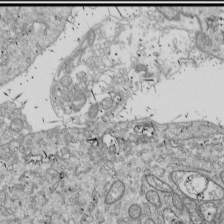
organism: Drosophila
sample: Cell division; meiosis; drosophila spermatocytes